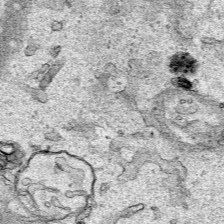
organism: Human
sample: Mitochondria in HCT116 cells